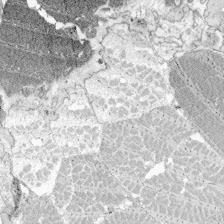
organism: Zebrafish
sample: Whole-Brain